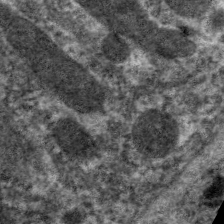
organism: C. elegans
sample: Pharynx